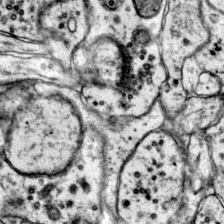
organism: Mouse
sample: Primary visual cortex